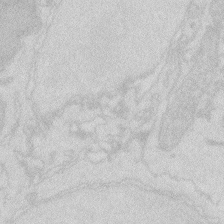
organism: Zebrafish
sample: Macrophage